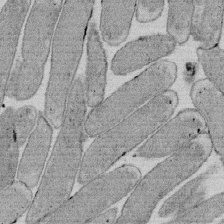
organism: E. coli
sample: Bacterial nucleoid